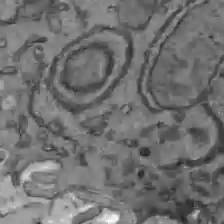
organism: C57BL Mouse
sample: Liver